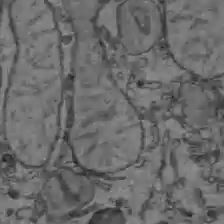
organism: C57BL Mouse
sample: Liver